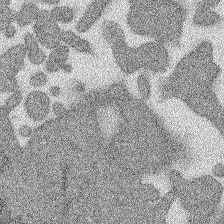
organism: Human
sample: HeLa cells